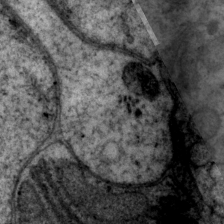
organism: P. pacificus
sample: Pharynx